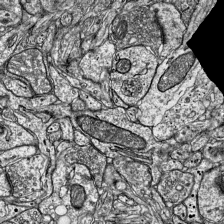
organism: Mouse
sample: Visual Cortex